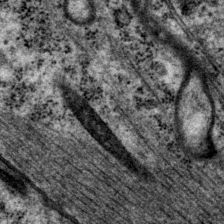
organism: P. pacificus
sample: Pharynx